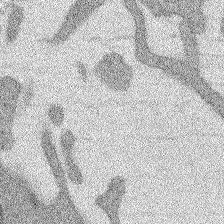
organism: Human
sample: HeLa cells